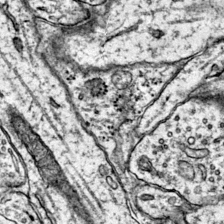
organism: Mouse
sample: Primary visual cortex